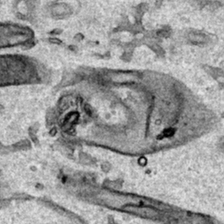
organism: Human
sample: Mitochondria in HCT116 cells